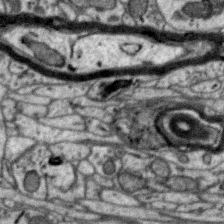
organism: Zebra finch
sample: Brain